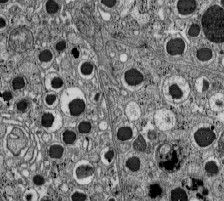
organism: C57BL Mouse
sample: Pancreatic islet